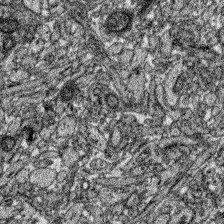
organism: Zebrafish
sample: Larval olfactory bulb